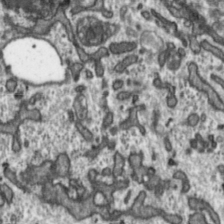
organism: Toxoplasma gondii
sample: Parasites in a vacuole inside a host cell